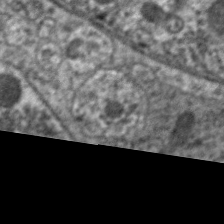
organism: C. elegans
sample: Pharynx